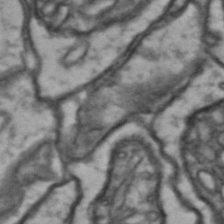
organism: Drosophila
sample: Brain